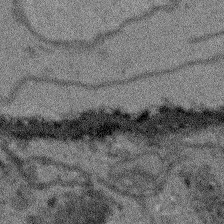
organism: Arabidopsis thaliana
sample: Root tip